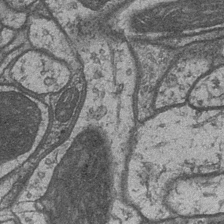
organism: Drosophila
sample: Optic medulla